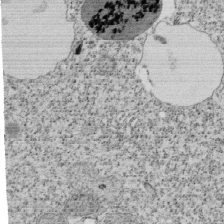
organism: Tetrahymena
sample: Cilia in tetrahymena